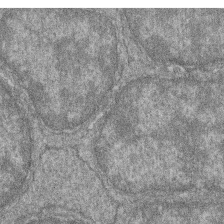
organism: Zebrafish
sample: Cilia; retinal pigment epithelium